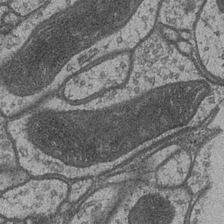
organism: Drosophila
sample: Optic medulla